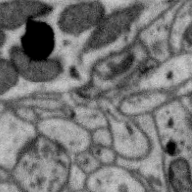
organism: Zebra finch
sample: Brain